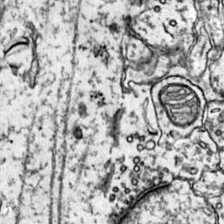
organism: Mouse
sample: Primary visual cortex